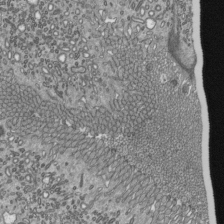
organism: Mouse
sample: Mouse epididymis efferent ductule cilia